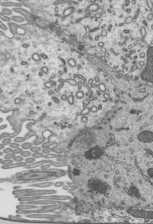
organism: Mouse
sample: Mouse epididymis efferent ductule cilia